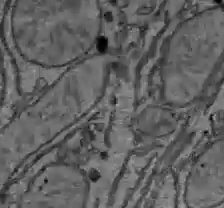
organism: C57BL Mouse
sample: Liver